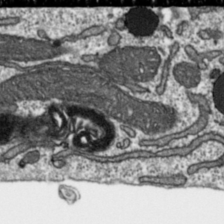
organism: Toxoplasma gondii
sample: Parasites in a vacuole inside a host cell